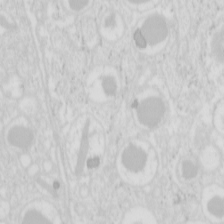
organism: Mouse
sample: Pancreas